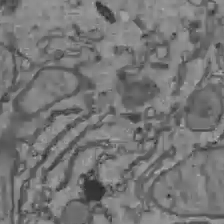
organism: C57BL Mouse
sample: Liver